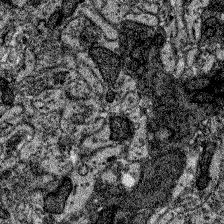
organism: Zebrafish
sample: Larval olfactory bulb